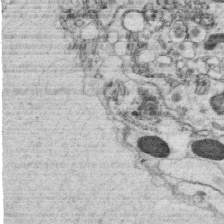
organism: C. elegans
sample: C. elegans oocyte; sperm cells